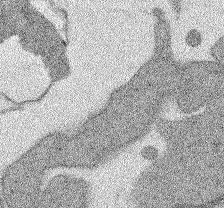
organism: Human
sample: HeLa cells